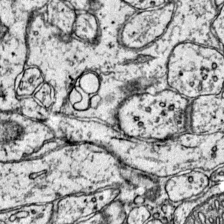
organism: Mouse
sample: Primary visual cortex